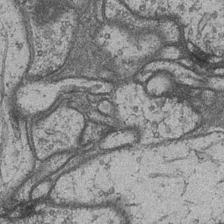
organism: Drosophila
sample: Optic medulla